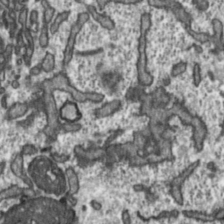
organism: Toxoplasma gondii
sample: Parasites in a vacuole inside a host cell